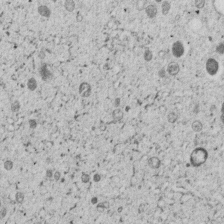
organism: C. elegans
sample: C. elegans embryo early stage